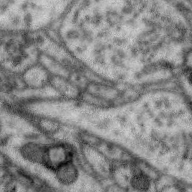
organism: Zebra finch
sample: Brain